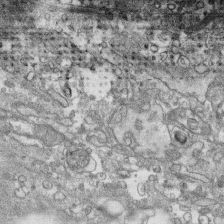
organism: Human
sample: CRL-1474